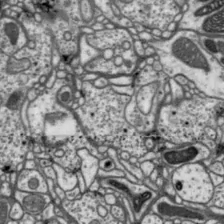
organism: Drosophila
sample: Protocerebral bridge